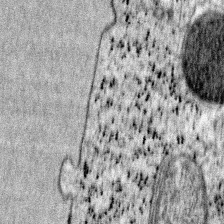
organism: Human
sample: HeLa cells